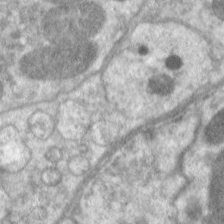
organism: C. elegans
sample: Pharynx